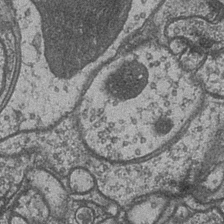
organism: Drosophila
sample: Optic medulla